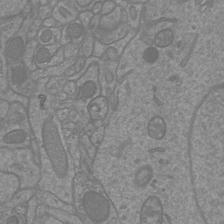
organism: Mouse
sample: Cortical neurons